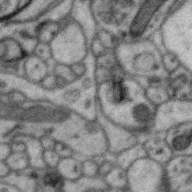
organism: Zebra finch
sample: Brain